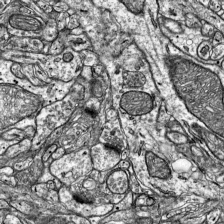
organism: Mouse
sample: Visual Cortex